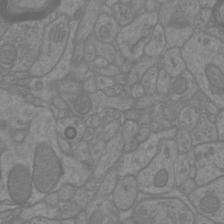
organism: Mouse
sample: Cortical neurons